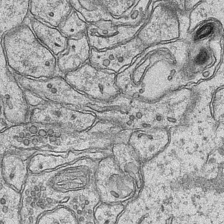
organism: Mouse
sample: CA1 Hippocampus